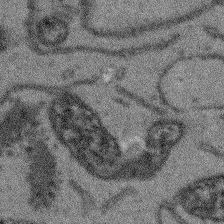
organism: Arabidopsis thaliana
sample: Root tip